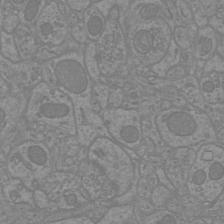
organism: Mouse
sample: Cortical neurons